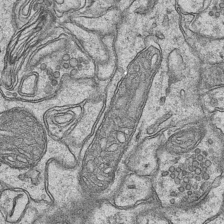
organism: Mouse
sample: CA1 Hippocampus